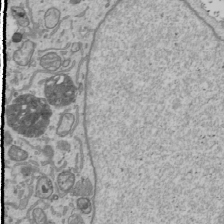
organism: Human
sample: Mitochondria in U2OS cells